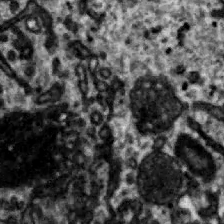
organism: Human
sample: HeLa cells